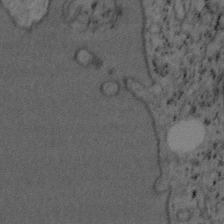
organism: Human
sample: HeLa cells